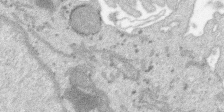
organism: Human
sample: Lung epithelial cells infected with SARS-CoV-2